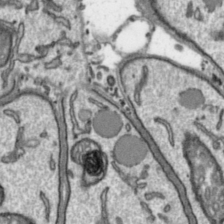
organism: Toxoplasma gondii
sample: Parasites in a vacuole inside a host cell